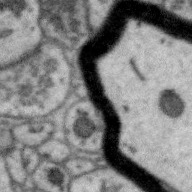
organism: Zebra finch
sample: Brain